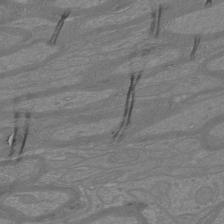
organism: Mouse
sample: Cortical neurons